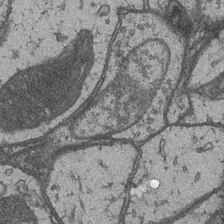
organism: Drosophila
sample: Optic medulla